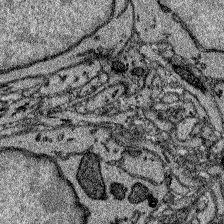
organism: Zebrafish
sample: Larval olfactory bulb